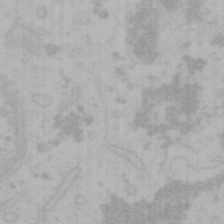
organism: Mouse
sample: Choroid plexus